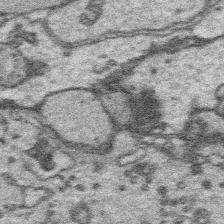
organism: Platynereis dumerilii